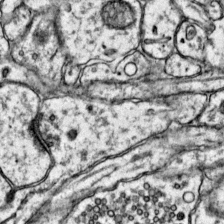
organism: Mouse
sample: Primary visual cortex